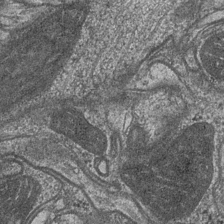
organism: Drosophila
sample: Optic medulla